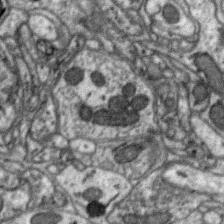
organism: Zebra finch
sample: Brain